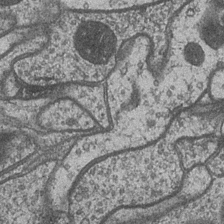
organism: Drosophila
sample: Optic medulla